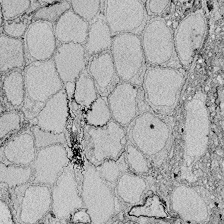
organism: Zebrafish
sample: Whole-Brain